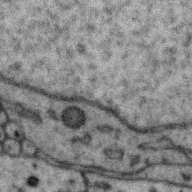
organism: Zebra finch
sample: Brain